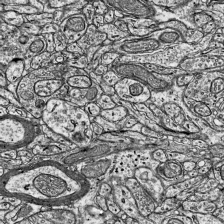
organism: Mouse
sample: Visual Cortex